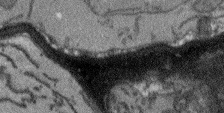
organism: Arabidopsis thaliana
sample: Root tip